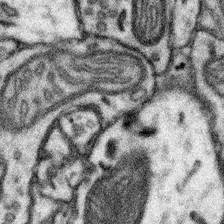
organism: Mouse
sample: Somatosensory cortex neuropil